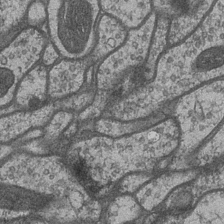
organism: Drosophila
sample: Optic medulla